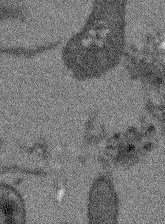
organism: Arabidopsis thaliana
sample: Root tip